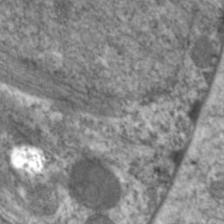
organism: C. elegans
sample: Pharynx